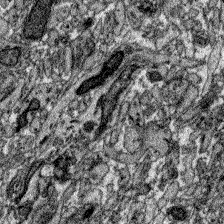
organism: Zebrafish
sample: Larval olfactory bulb